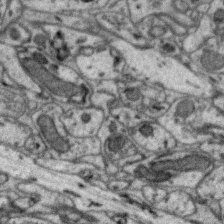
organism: Zebra finch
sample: Brain